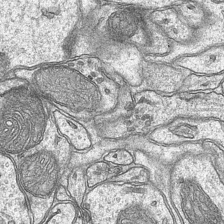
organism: Mouse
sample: CA1 Hippocampus